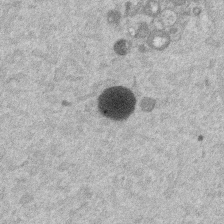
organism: Mouse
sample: Dividing mouse embryo 1 cell stage